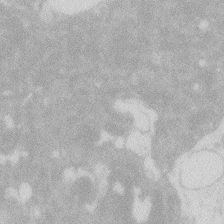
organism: Zebrafish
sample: Macrophage